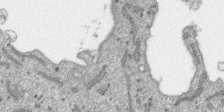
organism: Human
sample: Lung epithelial cells infected with SARS-CoV-2